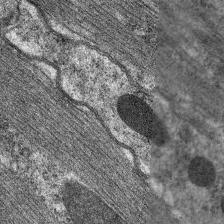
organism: C. elegans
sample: Pharynx